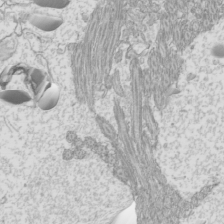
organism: Mouse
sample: Cilia; mouse epididymis